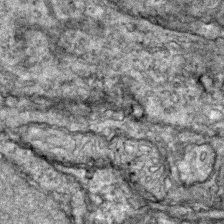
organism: Zebrafish